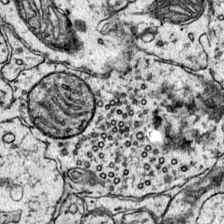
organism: Mouse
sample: Primary visual cortex